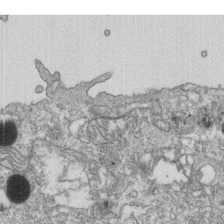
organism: Human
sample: HeLa cell HIV synapse